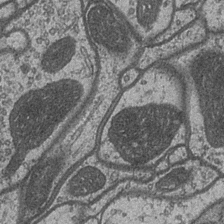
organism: Drosophila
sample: Optic medulla